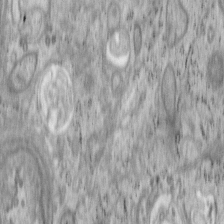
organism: Human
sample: HeLa cells